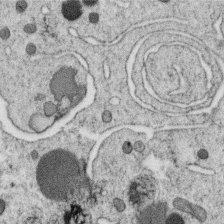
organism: C. elegans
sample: C. elegans oocyte; sperm cells